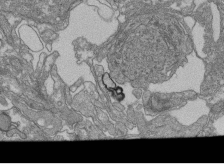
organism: Human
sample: Retinal organoid Rod and Cone cells